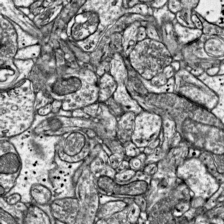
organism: Mouse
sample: Visual Cortex